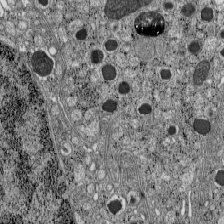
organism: C57BL Mouse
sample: Pancreatic islet